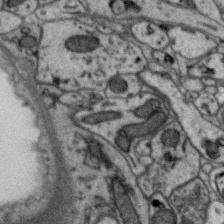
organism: Zebra finch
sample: Brain